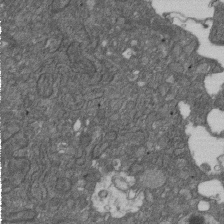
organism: Drosophila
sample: Nephrocyte